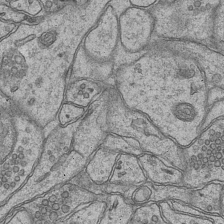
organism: Mouse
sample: CA1 Hippocampus